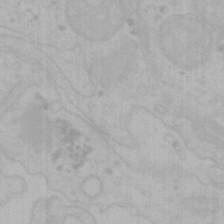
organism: Mouse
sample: Choroid plexus